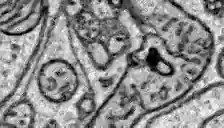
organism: Zebrafish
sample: Brain